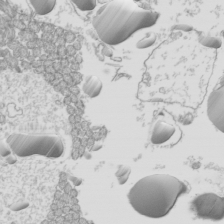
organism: Mouse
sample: Cilia; mouse epididymis